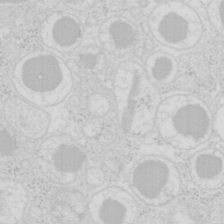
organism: Mouse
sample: Pancreas